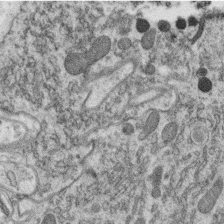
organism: C. elegans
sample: C. elegans oocyte; sperm cells